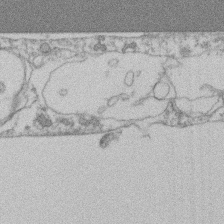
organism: Mouse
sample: T cell stromal cell synapse